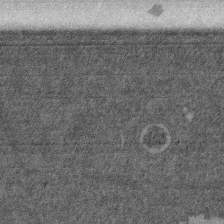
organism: Mouse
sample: Dividing mouse embryo 1 cell stage